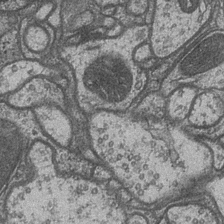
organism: Drosophila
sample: Optic medulla